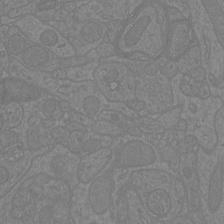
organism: Mouse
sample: Cortical neurons